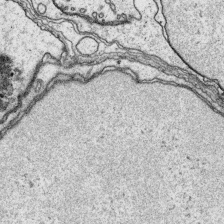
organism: Platynereis dumerilii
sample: Parapodia